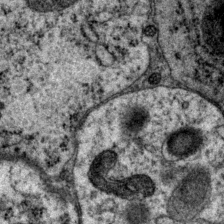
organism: P. pacificus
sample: Pharynx